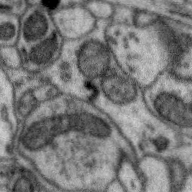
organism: Zebra finch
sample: Brain